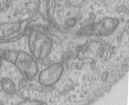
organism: Human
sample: Centriole in RPE cells